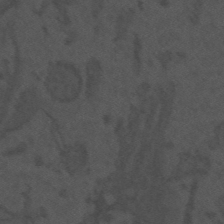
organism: Mouse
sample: Suprachiasmatic nucleus